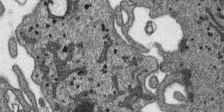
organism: Human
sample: Lung epithelial cells infected with SARS-CoV-2